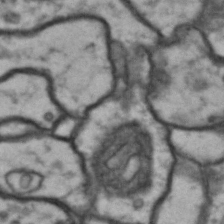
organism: Drosophila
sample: Brain